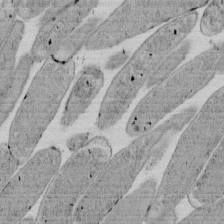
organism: E. coli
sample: Bacterial nucleoid